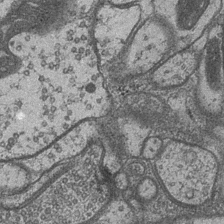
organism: Drosophila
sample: Optic medulla